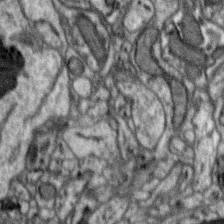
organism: Zebra finch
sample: Brain